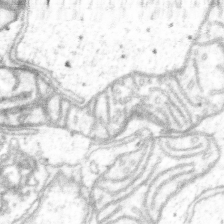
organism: Human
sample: HeLa cells